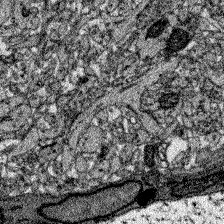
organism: Zebrafish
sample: Larval olfactory bulb